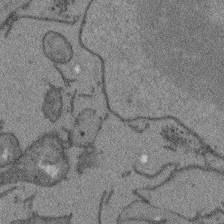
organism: Arabidopsis thaliana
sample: Root tip